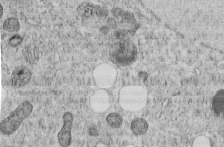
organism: C. elegans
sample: C. elegans embryo early stage